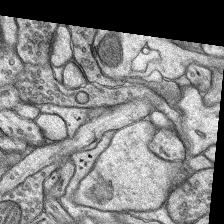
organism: Rat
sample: Hippocampus